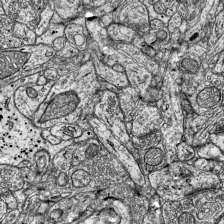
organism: Mouse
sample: Visual Cortex